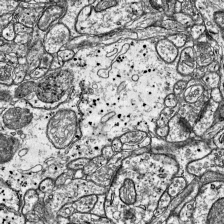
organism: Mouse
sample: Visual Cortex